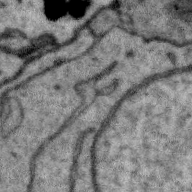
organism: Zebra finch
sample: Brain